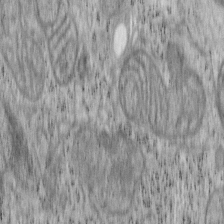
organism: Human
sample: HeLa cells